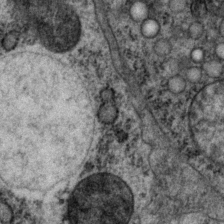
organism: P. pacificus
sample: Pharynx